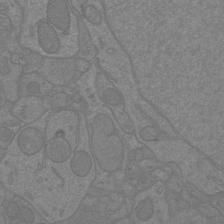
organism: Mouse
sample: Cortical neurons